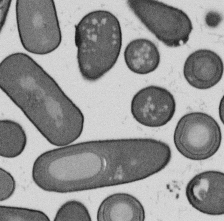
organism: B. subtilis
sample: Bacterial spore